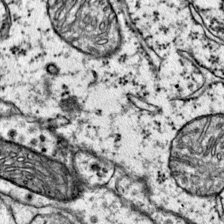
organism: Mouse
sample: Primary visual cortex